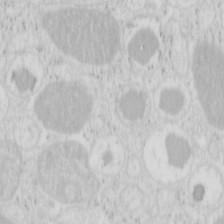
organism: Mouse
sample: Pancreas